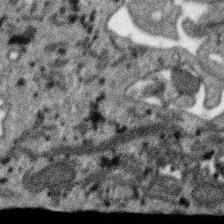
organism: Human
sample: Lung epithelial cells infected with SARS-CoV-2